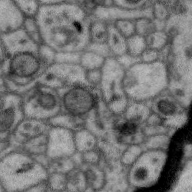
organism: Zebra finch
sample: Brain